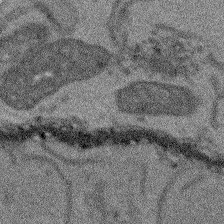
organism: Arabidopsis thaliana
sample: Root tip